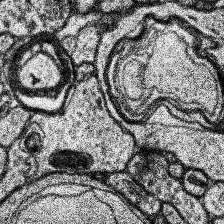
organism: Human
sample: Temporal Lobe